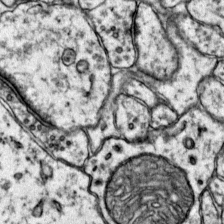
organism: Mouse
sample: Primary visual cortex